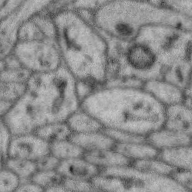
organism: Zebra finch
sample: Brain